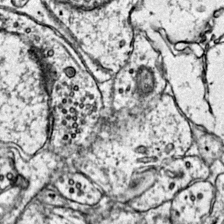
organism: Mouse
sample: Primary visual cortex